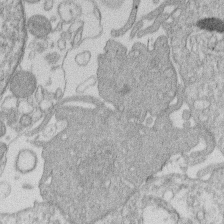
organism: Human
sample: Macrophage cells